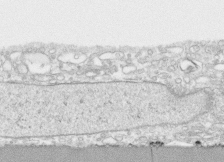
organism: Human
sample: CRL-1474